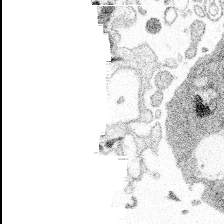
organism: Spongilla lacustris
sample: Multiple